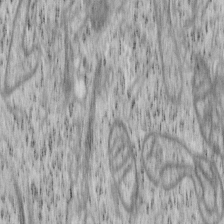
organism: Human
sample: HeLa cells